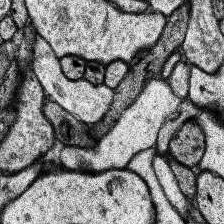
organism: Human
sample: Temporal Lobe